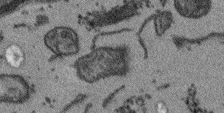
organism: Arabidopsis thaliana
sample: Root tip